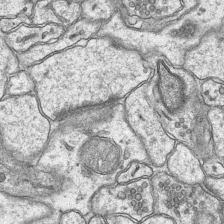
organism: Mouse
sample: CA1 Hippocampus